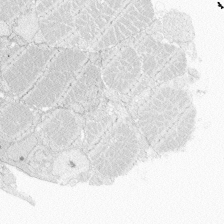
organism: Zebrafish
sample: Whole-Brain